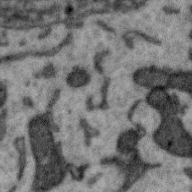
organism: Zebra finch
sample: Brain